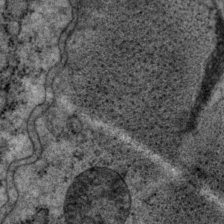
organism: P. pacificus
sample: Pharynx